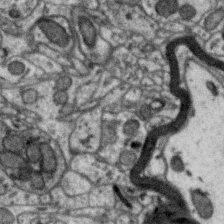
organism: Zebra finch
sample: Brain